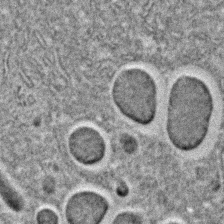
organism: C. elegans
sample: C. elegans embryo